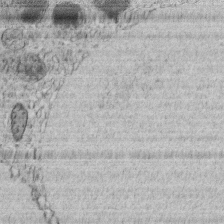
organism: C. elegans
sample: C. elegans embryo early stage